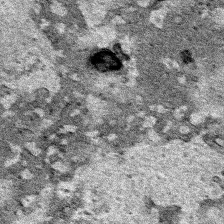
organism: Human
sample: Mitochondria in HCT116 cells